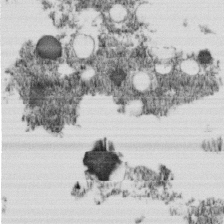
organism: C. elegans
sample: C. elegans embryo early stage